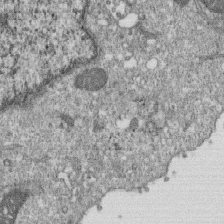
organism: African green monkey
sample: Vero E6 cells infected with SARS-CoV-2